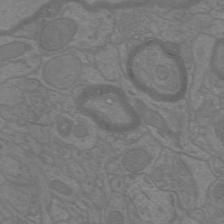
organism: Mouse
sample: Cortical neurons